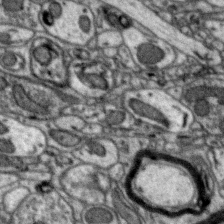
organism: Zebra finch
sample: Brain